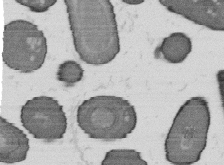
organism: B. subtilis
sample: Bacterial spore